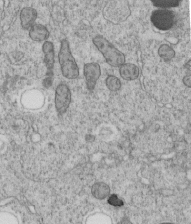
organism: C. elegans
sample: C. elegans embryo early stage